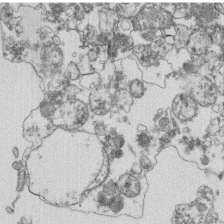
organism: Human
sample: HeLa cell HIV synapse